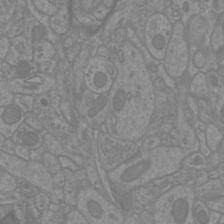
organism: Mouse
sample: Cortical neurons